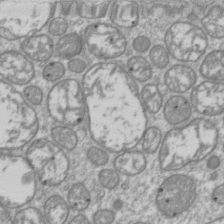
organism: Drosophila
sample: Cell division; meiosis; drosophila spermatocytes